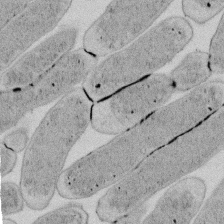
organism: E. coli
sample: Bacterial nucleoid